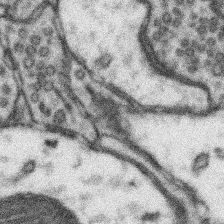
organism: Mouse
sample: Somatosensory cortex neuropil